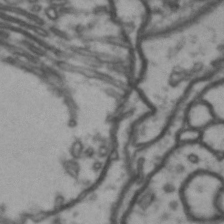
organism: Drosophila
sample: Brain